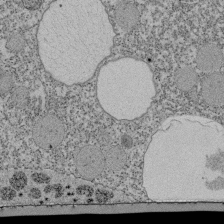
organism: Tetrahymena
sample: Cilia in tetrahymena